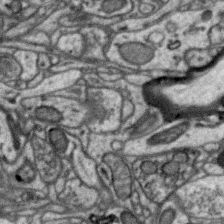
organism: Zebra finch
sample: Brain